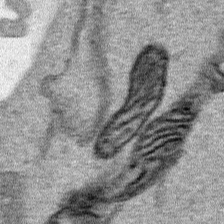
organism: Human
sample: Mitochondria in HCT116 cells